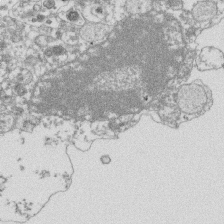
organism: Human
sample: HeLa cell HIV synapse